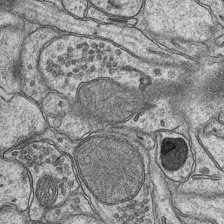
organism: Mouse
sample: CA1 Hippocampus